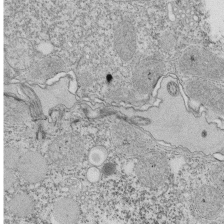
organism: Tetrahymena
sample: Cilia in tetrahymena